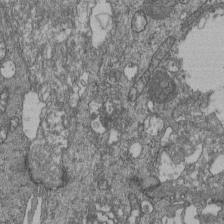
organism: Human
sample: Retinal organoid Rod and Cone cells